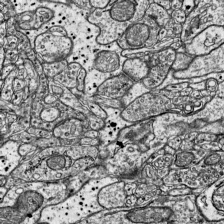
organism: Mouse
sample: Visual Cortex